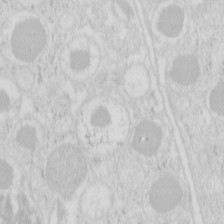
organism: Mouse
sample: Pancreas